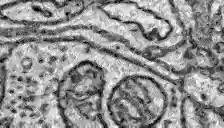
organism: Zebrafish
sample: Brain